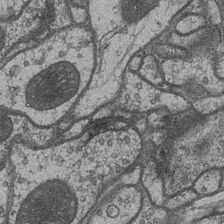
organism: Drosophila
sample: Optic medulla